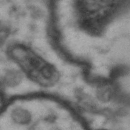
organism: Drosophila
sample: Brain